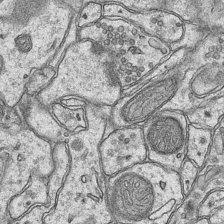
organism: Mouse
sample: CA1 Hippocampus